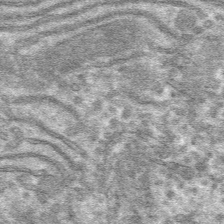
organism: Mouse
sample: Mouse hepatocytes